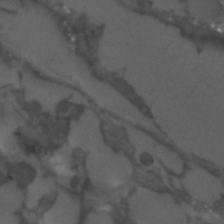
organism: C. elegans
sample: C. elegans embryo